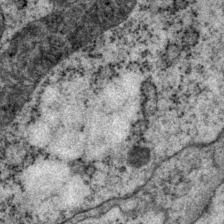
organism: P. pacificus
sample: Pharynx